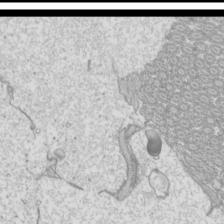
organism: Mouse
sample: Cilia; mouse epididymis